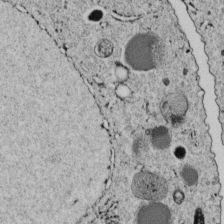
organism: C. elegans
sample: C. elegans embryo early stage